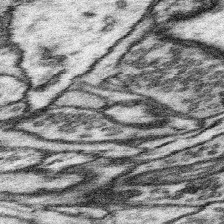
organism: Mouse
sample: Somatosensory cortex neuropil